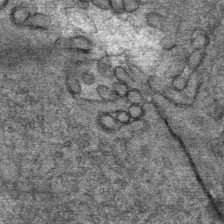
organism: Mouse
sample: Mouse Salivary gland